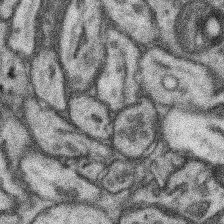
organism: Mouse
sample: Somatosensory cortex neuropil